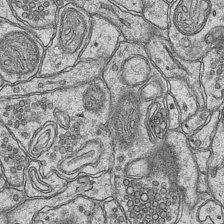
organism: Mouse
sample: CA1 Hippocampus